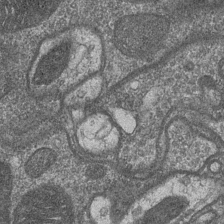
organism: Drosophila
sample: Optic medulla